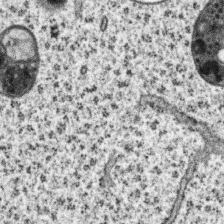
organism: Human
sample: HeLa cells